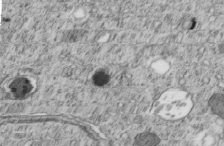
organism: C. elegans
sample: C. elegans embryo early stage